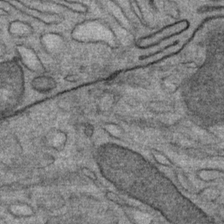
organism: Mouse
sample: Mouse Salivary gland